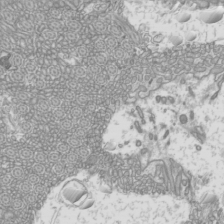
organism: Mouse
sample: Cilia; mouse epididymis